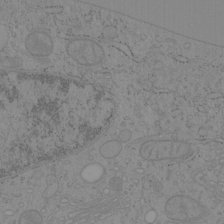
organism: Human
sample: HeLa cells